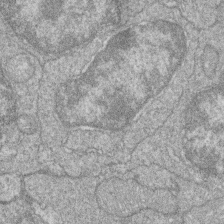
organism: Zebrafish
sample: Cilia; retinal pigment epithelium